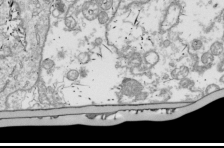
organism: Drosophila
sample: Cell division; meiosis; drosophila spermatocytes